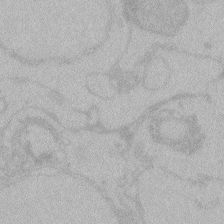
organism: Zebrafish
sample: Macrophage infected with Toxoplasma gondii